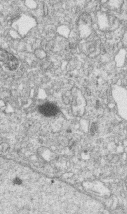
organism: Human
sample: HeLa cell HIV synapse